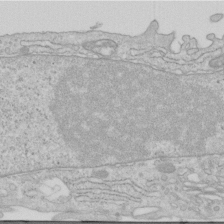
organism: Human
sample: Centriole in RPE cells